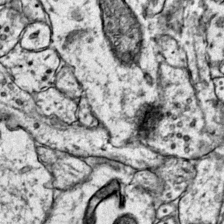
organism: Mouse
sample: Primary visual cortex